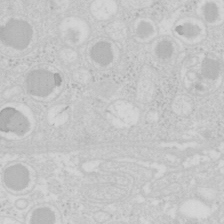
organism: Mouse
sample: Pancreas